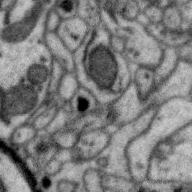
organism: Zebra finch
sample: Brain